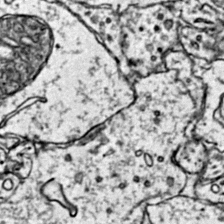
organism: Mouse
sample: Primary visual cortex